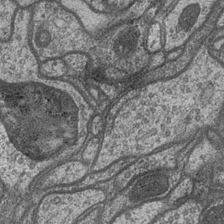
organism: Drosophila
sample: Optic medulla